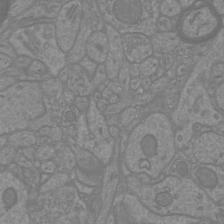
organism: Mouse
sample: Cortical neurons